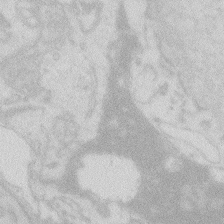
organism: Zebrafish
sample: Macrophage